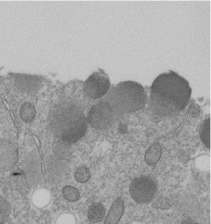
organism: C. elegans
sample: C. elegans embryo early stage